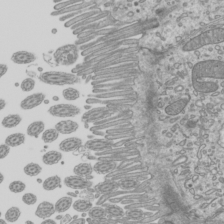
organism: Mouse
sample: Cilia; mouse epididymis